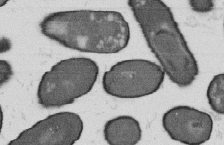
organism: B. subtilis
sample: Bacterial spore